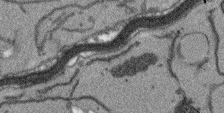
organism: Arabidopsis thaliana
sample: Root tip